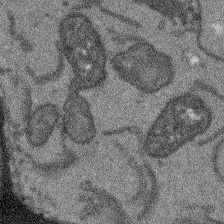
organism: Arabidopsis thaliana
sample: Root tip